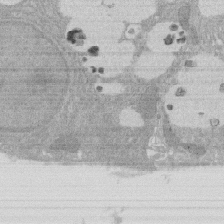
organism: Rat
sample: Salivary granule